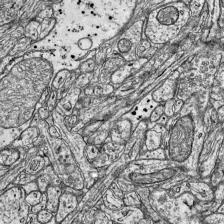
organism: Mouse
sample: Visual Cortex